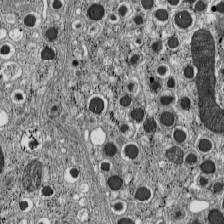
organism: C57BL Mouse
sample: Pancreatic islet